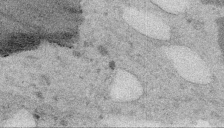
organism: Embia sp.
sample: Silk gland